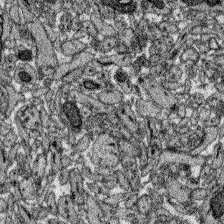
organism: Zebrafish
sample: Larval olfactory bulb